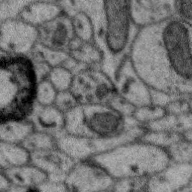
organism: Zebra finch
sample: Brain